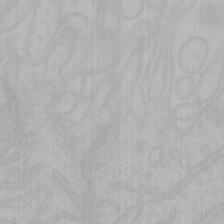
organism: Mouse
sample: Choroid plexus